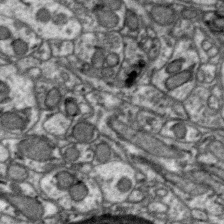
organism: Zebra finch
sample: Brain